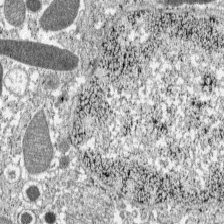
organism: C57BL Mouse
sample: Pancreatic islet